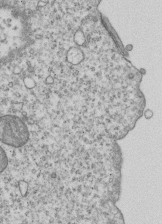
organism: Human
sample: MDA-MB-231 cells